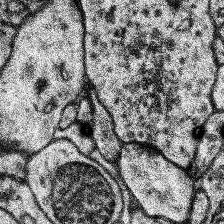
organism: Human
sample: Temporal Lobe